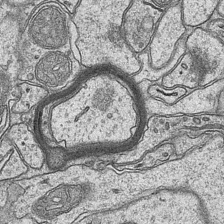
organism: Mouse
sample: CA1 Hippocampus